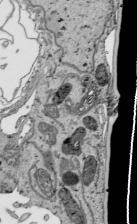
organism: Human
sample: Mitochondria in HCT116 cells